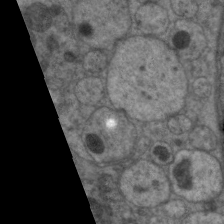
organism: C. elegans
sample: Pharynx